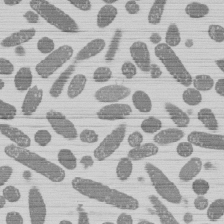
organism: E. coli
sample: Bacterial nucleoid